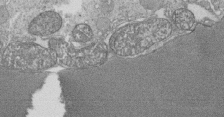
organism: Tetrahymena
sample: Cilia in tetrahymena